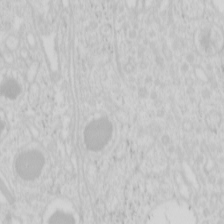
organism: Mouse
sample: Pancreas